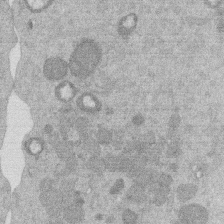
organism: Mouse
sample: Dividing mouse embryo 1 cell stage